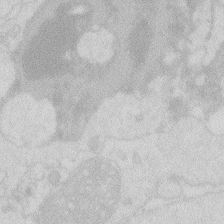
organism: Zebrafish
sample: Macrophage